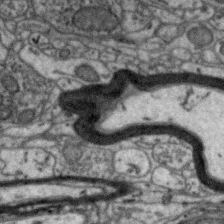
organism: Zebra finch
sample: Brain